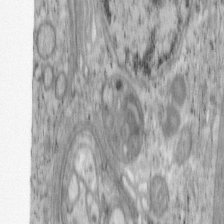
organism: Human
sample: HeLa cells